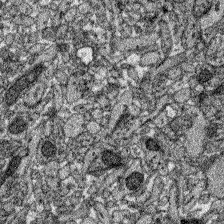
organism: Zebrafish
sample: Larval olfactory bulb